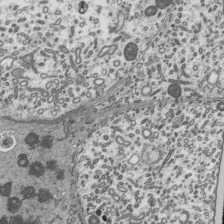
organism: Mouse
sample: Mouse epididymis efferent ductule cilia